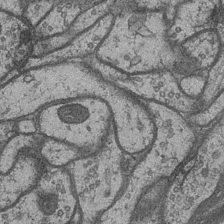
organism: Drosophila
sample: Optic medulla